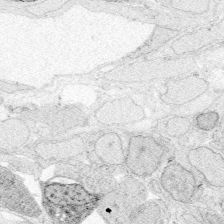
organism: Zebrafish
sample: Whole-Brain